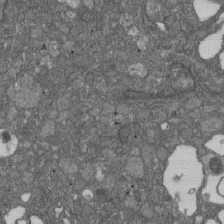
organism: Drosophila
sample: Nephrocyte